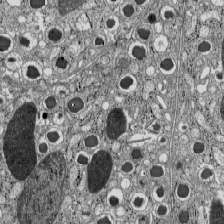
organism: C57BL Mouse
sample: Pancreatic islet